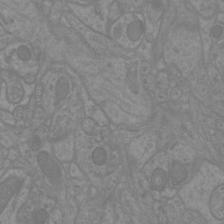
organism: Mouse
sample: Cortical neurons